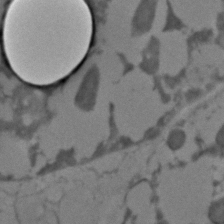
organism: C. elegans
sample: C. elegans embryo